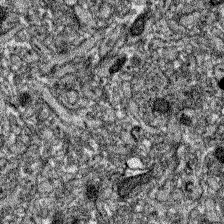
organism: Zebrafish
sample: Larval olfactory bulb